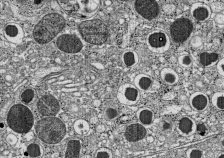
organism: C57BL Mouse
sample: Pancreatic islet